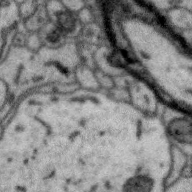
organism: Zebra finch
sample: Brain